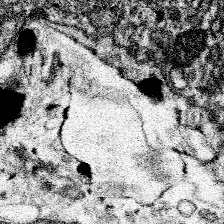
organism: Spongilla lacustris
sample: Neuroid cell